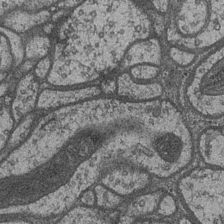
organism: Drosophila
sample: Optic medulla